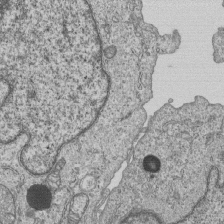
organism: Human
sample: MDA-MB-231 cells